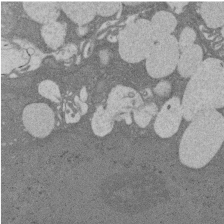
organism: Rat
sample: Salivary granule